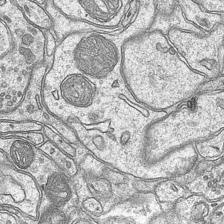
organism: Mouse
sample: CA1 Hippocampus